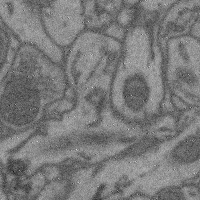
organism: Mouse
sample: Cerebral cortex